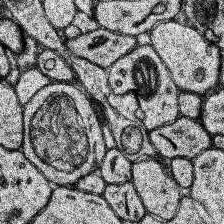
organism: Human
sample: Temporal Lobe